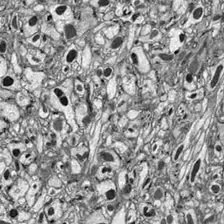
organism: Drosophila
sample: Optic lobe